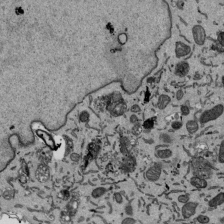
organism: Mouse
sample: ED-1 cell nuclei; centrioles